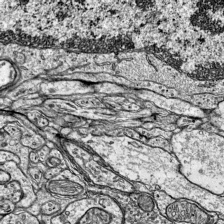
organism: Mouse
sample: Visual Cortex